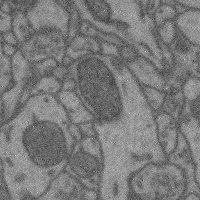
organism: Mouse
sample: Cerebral cortex